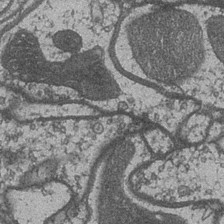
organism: Drosophila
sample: Optic medulla